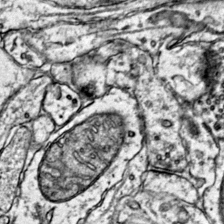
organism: Mouse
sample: Primary visual cortex